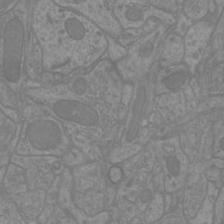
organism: Mouse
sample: Cortical neurons